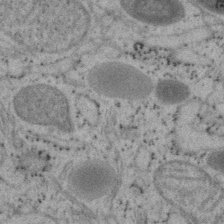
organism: Human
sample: HeLa cells